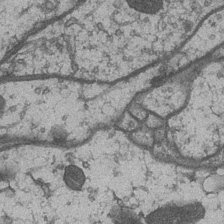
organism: Drosophila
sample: Optic medulla